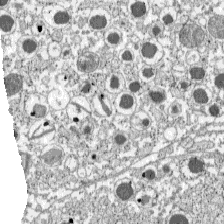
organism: C57BL Mouse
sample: Pancreatic islet